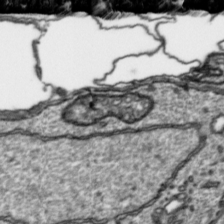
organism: Toxoplasma gondii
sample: Parasites in a vacuole inside a host cell